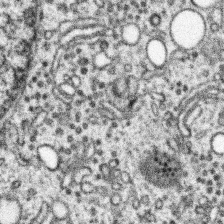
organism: Human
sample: HeLa cells